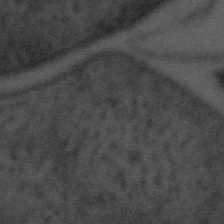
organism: Tuwongella immobilis